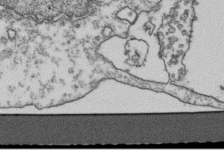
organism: Human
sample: Activated Jurkat CD4+ T cells